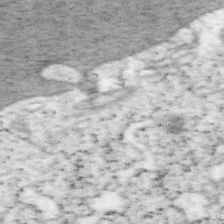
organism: Mouse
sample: OT-I killer T cells with ID8 ovarian cancer cells